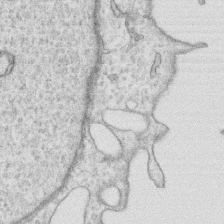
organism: Human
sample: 1205lu cells